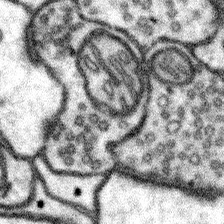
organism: Mouse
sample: Somatosensory cortex neuropil